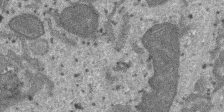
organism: Human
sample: Lung epithelial cells infected with SARS-CoV-2